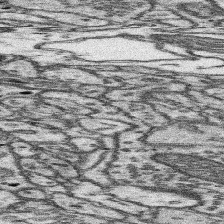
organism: Mouse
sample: Somatosensory cortex neuropil